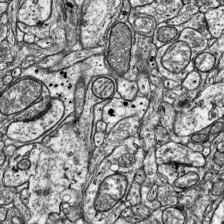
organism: Mouse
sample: Visual Cortex